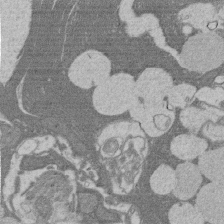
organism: Rat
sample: Salivary granule